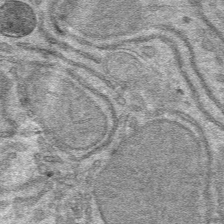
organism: Mouse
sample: Mouse hepatocytes